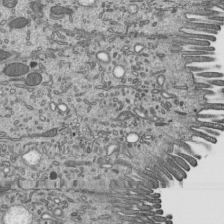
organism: Mouse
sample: Mouse epididymis efferent ductule cilia